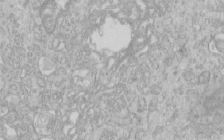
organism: Human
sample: Centriole in RPE cells